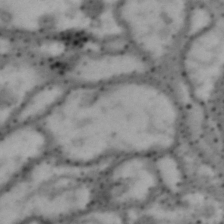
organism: Drosophila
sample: Brain